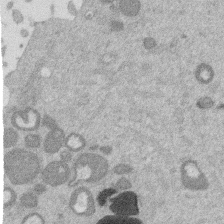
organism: Mouse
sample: Dividing mouse embryo 1 cell stage